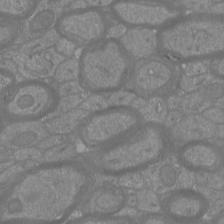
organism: Mouse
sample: Cortical neurons